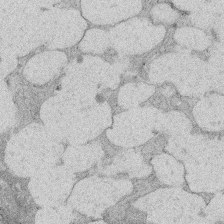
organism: Rat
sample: Salivary granule